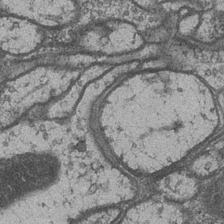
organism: Drosophila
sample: Optic medulla